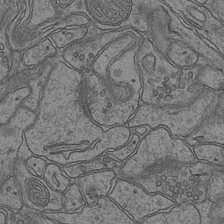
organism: Mouse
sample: CA1 Hippocampus